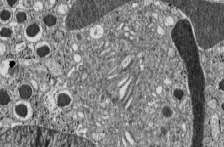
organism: C57BL Mouse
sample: Pancreatic islet